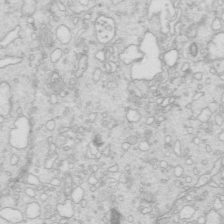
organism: Mouse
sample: Multiciliated cells